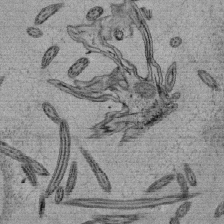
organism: Tetrahymena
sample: Cilia in tetrahymena